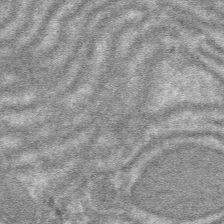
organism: Mouse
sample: Mouse hepatocytes